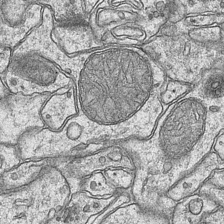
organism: Mouse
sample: CA1 Hippocampus